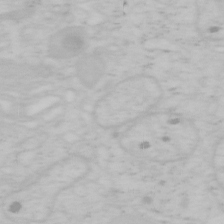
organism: Mouse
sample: OT-I killer T cells with ID8 ovarian cancer cells